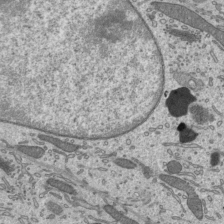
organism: Mouse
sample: Mouse epididymis efferent ductule cilia